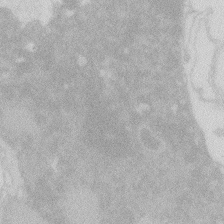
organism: Zebrafish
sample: Macrophage